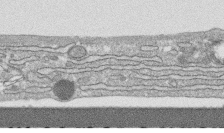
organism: Human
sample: CRL-1474